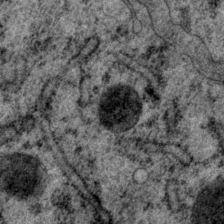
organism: P. pacificus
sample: Pharynx